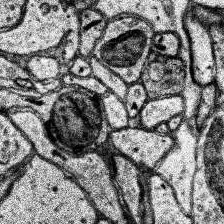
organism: Human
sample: Temporal Lobe